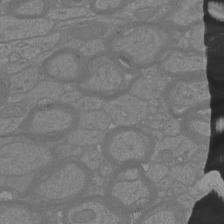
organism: Mouse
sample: Cortical neurons